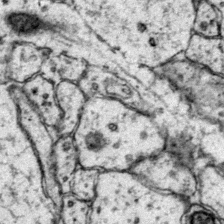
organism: Mouse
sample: Primary visual cortex